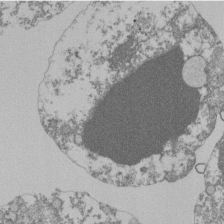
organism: Mouse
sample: Activated Pmel transgenic CD8+ T Cells